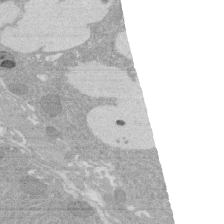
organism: Rat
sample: Salivary granule